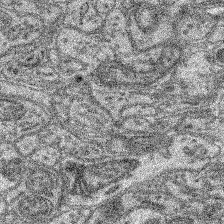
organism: Mouse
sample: Retina